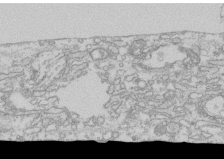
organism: Human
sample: CRL-1474